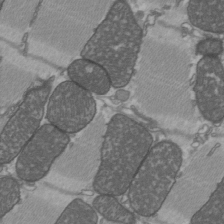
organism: C57BL Mouse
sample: Heart